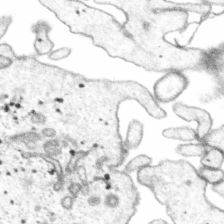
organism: Human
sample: HeLa cells